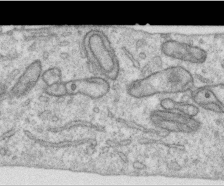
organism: Human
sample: Centriole in RPE cells